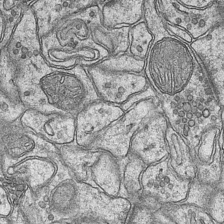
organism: Mouse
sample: CA1 Hippocampus